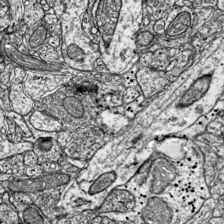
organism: Mouse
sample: Visual Cortex